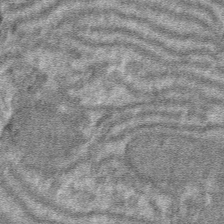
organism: Mouse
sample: Mouse hepatocytes